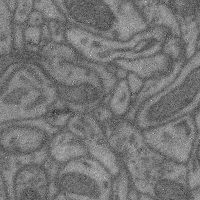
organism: Mouse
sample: Cerebral cortex